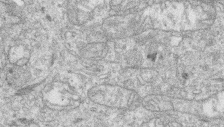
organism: Human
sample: HeLa cell HIV synapse